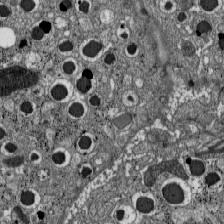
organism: C57BL Mouse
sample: Pancreatic islet